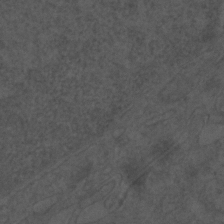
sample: Trachea